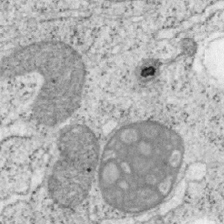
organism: Mouse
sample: OT-I killer T cells with ID8 ovarian cancer cells